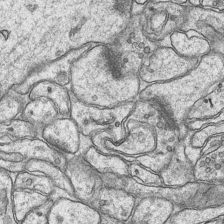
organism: Mouse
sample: CA1 Hippocampus